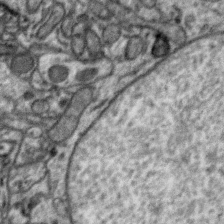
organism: Zebra finch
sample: Brain